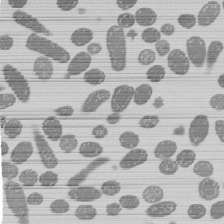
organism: E. coli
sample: Bacterial nucleoid